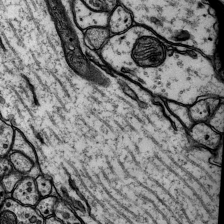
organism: Rat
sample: Hippocampus